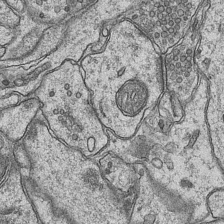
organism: Mouse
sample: CA1 Hippocampus